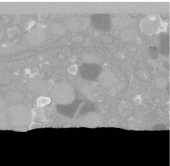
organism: C. elegans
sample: C. elegans oocyte; sperm cells